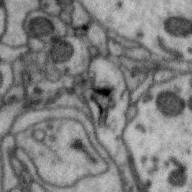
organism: Zebra finch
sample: Brain